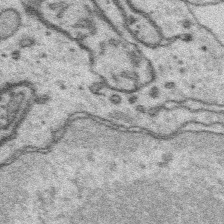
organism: Platynereis dumerilii